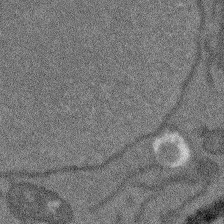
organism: Arabidopsis thaliana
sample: Root tip